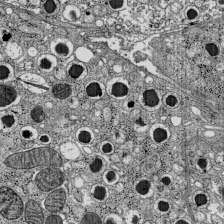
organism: C57BL Mouse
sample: Pancreatic islet